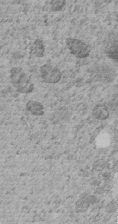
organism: C. elegans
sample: C. elegans embryo early stage